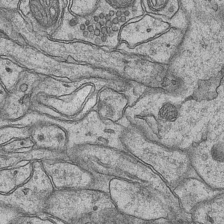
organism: Mouse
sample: CA1 Hippocampus